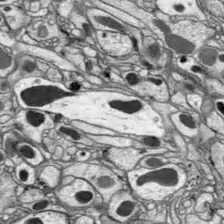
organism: Drosophila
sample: Optic lobe